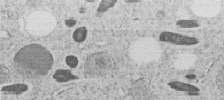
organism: C. elegans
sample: C. elegans embryo early stage